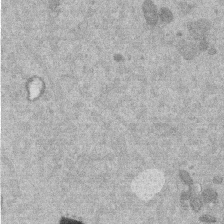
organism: Mouse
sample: Dividing mouse embryo 1 cell stage